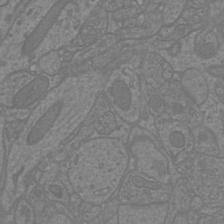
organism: Mouse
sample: Cortical neurons